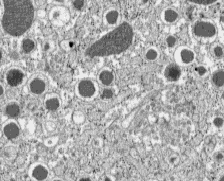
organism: C57BL Mouse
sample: Pancreatic islet